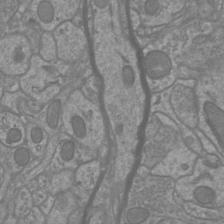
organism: Mouse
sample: Cortical neurons